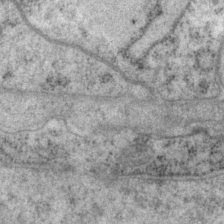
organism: P. pacificus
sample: Pharynx